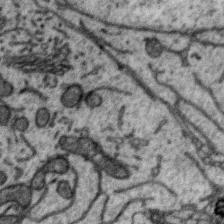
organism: Zebra finch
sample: Brain